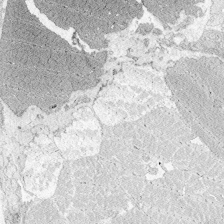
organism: Zebrafish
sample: Whole-Brain